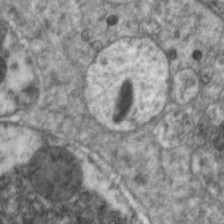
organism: C. elegans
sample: Pharynx